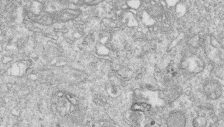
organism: Human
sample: HeLa cell HIV synapse